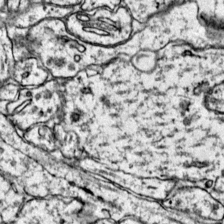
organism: Mouse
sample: Primary visual cortex